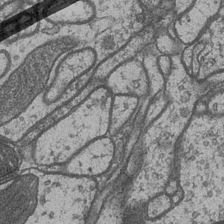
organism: Drosophila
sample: Optic medulla